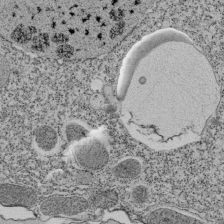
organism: Tetrahymena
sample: Cilia in tetrahymena